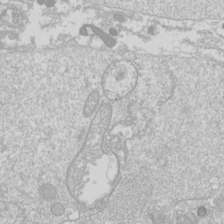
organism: Drosophila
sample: Cell division; meiosis; drosophila spermatocytes